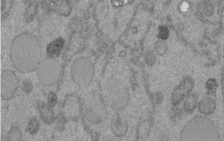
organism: C. elegans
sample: C. elegans embryo early stage